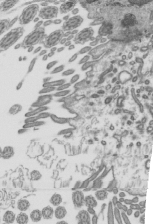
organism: Mouse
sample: Mouse epididymis efferent ductule cilia